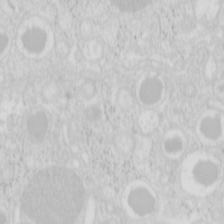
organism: Mouse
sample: Pancreas